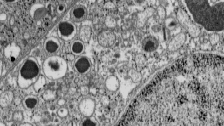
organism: C57BL Mouse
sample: Pancreatic islet